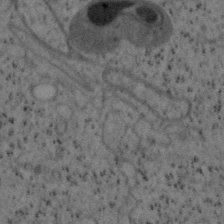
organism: Human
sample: HeLa cells